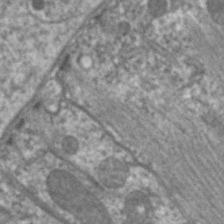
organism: C. elegans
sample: Pharynx